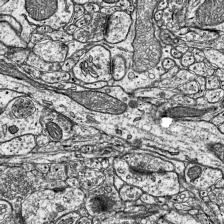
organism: Mouse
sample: Visual Cortex